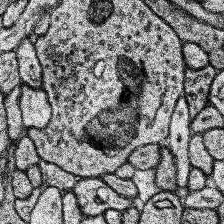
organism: Human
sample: Temporal Lobe